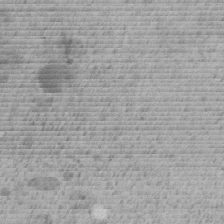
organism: C. elegans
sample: C. elegans embryo early stage